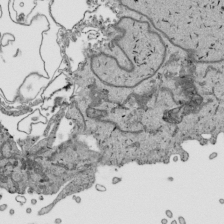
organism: Human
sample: Mitochondria in HCT116 cells